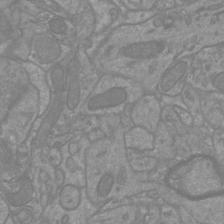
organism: Mouse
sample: Cortical neurons